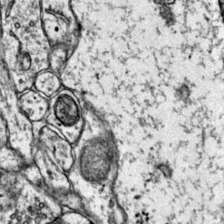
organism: Mouse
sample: Primary visual cortex